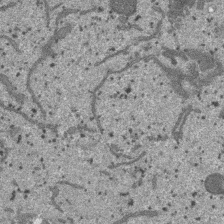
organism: Human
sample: Lung epithelial cells infected with SARS-CoV-2